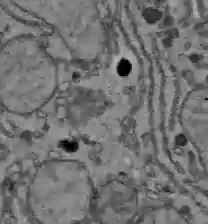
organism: C57BL Mouse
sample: Liver